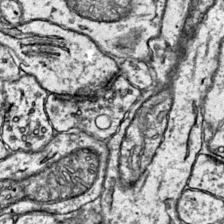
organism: Mouse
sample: Primary visual cortex